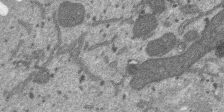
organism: Human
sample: Lung epithelial cells infected with SARS-CoV-2